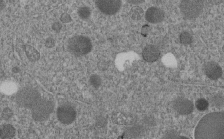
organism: C. elegans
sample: C. elegans embryo early stage